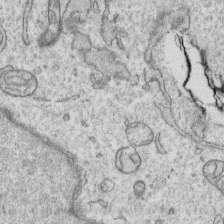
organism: Human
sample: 1205lu cells